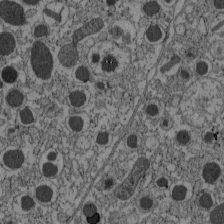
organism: C57BL Mouse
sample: Pancreatic islet